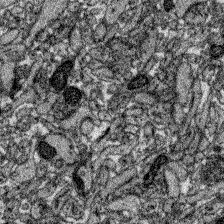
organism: Zebrafish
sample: Larval olfactory bulb